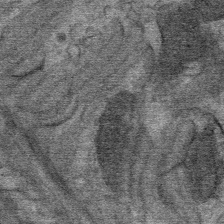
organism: Mouse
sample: Mouse Salivary gland